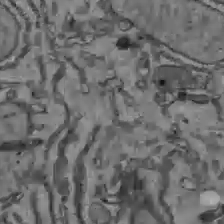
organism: C57BL Mouse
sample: Liver